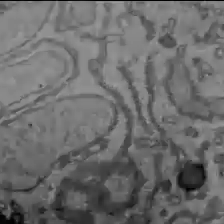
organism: C57BL Mouse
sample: Liver